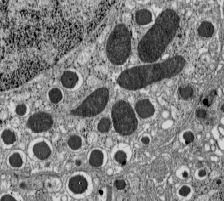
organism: C57BL Mouse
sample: Pancreatic islet